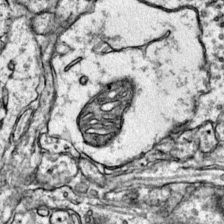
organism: Mouse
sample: Primary visual cortex